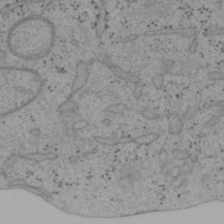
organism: Human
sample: HeLa cells